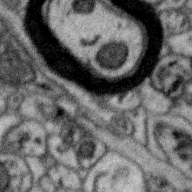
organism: Zebra finch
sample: Brain